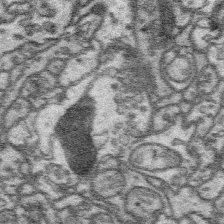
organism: Platynereis dumerilii